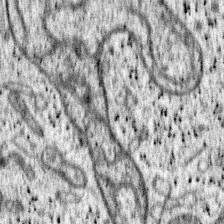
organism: Human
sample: HeLa cells